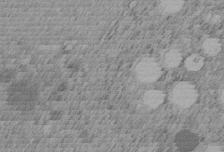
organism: C. elegans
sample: C. elegans embryo early stage